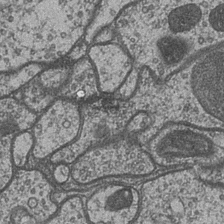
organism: Drosophila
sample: Optic medulla